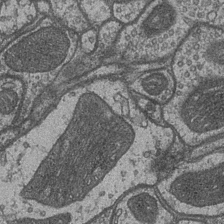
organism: Drosophila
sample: Optic medulla